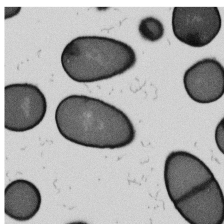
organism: B. subtilis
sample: Bacterial spore